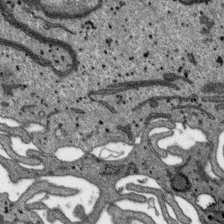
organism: Human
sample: Lung epithelial cells, uninfected (mock) control